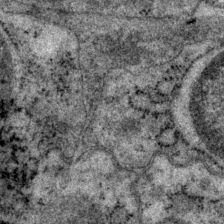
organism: P. pacificus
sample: Pharynx